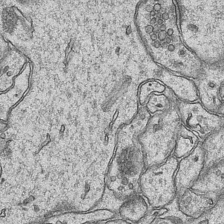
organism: Mouse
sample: CA1 Hippocampus